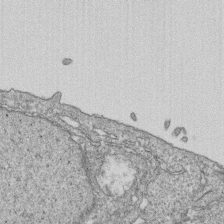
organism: Human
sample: HeLa cell HIV synapse